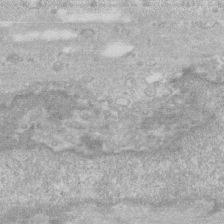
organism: Human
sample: Fibroblast cells